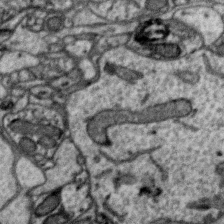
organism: Zebra finch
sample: Brain